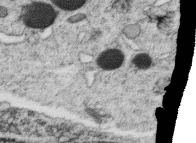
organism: C. elegans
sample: C. elegans oocyte; sperm cells